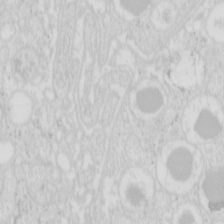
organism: Mouse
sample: Pancreas